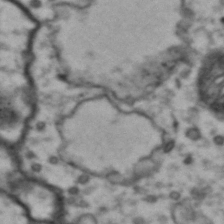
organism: Drosophila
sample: Brain